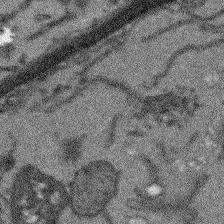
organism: Arabidopsis thaliana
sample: Root tip